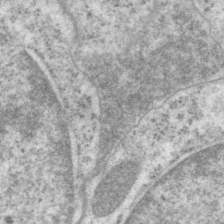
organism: P. pacificus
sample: Pharynx